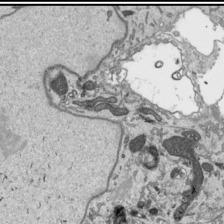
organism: Human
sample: Mitochondria in HCT116 cells